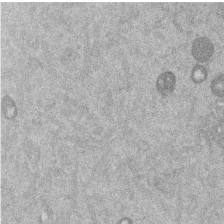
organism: Mouse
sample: Dividing mouse embryo 1 cell stage